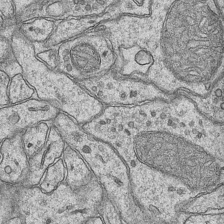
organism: Mouse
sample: CA1 Hippocampus